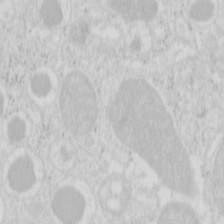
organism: Mouse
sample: Pancreas